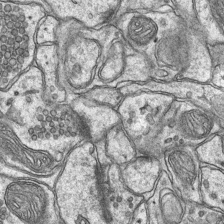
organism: Mouse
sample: CA1 Hippocampus